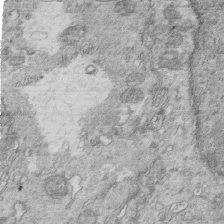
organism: Mouse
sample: Multiciliated cells